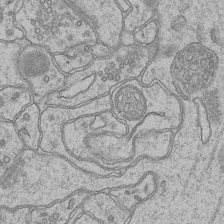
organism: Mouse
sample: CA1 Hippocampus